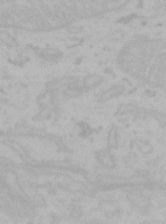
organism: Mouse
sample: Choroid plexus